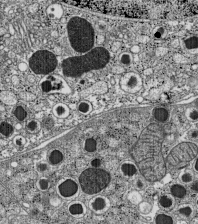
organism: C57BL Mouse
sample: Pancreatic islet